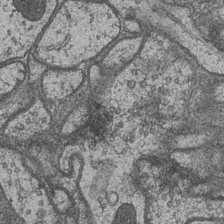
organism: Drosophila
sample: Optic medulla